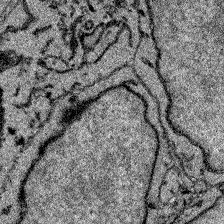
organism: Zebrafish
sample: Larval olfactory bulb